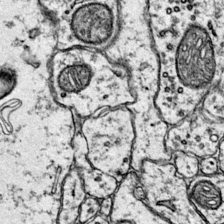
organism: Mouse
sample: Primary visual cortex